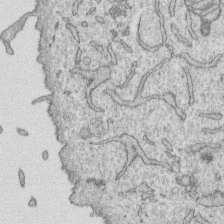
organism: Human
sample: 1205lu cells